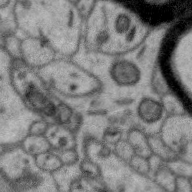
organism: Zebra finch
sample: Brain